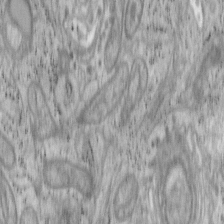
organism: Human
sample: HeLa cells